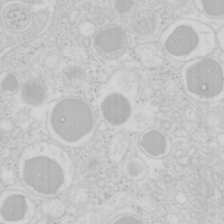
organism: Mouse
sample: Pancreas